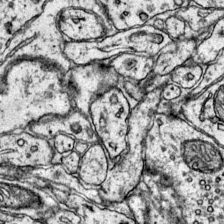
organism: Mouse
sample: Primary visual cortex